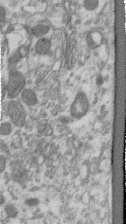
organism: Human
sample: Centriole in RPE cells